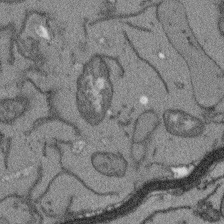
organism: Arabidopsis thaliana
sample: Root tip